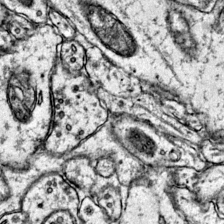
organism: Mouse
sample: Primary visual cortex